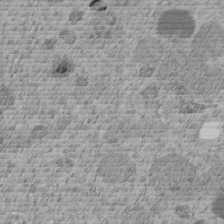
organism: C. elegans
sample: C. elegans embryo early stage